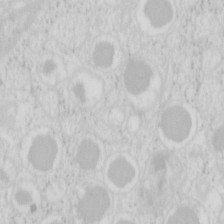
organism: Mouse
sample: Pancreas